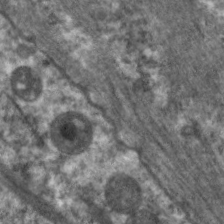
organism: C. elegans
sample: Pharynx